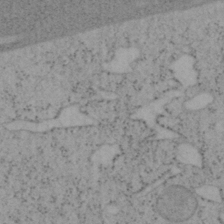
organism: Mouse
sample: OT-I killer T cells with ID8 ovarian cancer cells